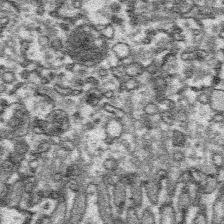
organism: Platynereis dumerilii